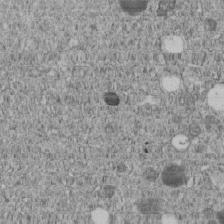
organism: C. elegans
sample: C. elegans embryo early stage